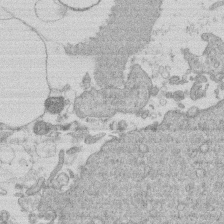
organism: Human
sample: Macrophage cells